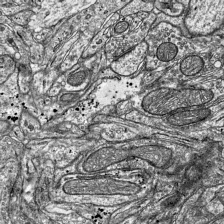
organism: Mouse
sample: Visual Cortex